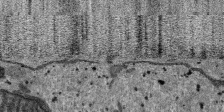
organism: Human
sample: Lung epithelial cells, uninfected (mock) control